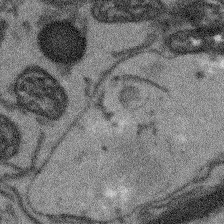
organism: Arabidopsis thaliana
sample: Root tip